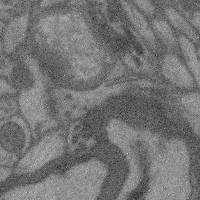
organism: Mouse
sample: Cerebral cortex